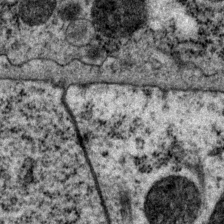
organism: P. pacificus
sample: Pharynx